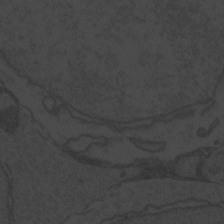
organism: Zebrafish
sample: Macrophage infected with Toxoplasma gondii